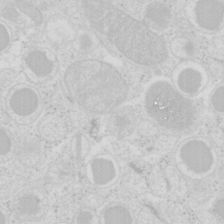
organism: Mouse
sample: Pancreas